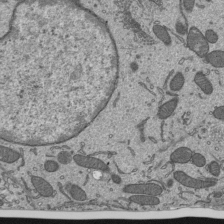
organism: Mouse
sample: Mouse epididymis efferent ductule cilia